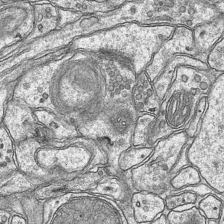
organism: Mouse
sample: CA1 Hippocampus